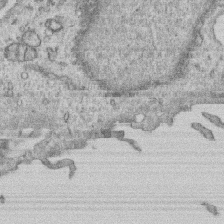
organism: Human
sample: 1205lu cells